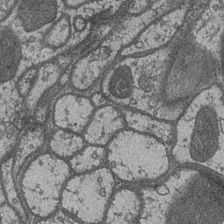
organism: Drosophila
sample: Optic medulla